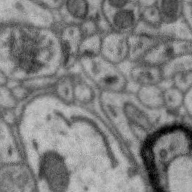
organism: Zebra finch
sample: Brain